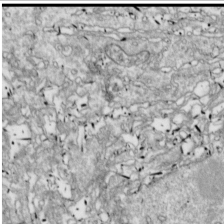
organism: Drosophila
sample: Cell division; meiosis; drosophila spermatocytes